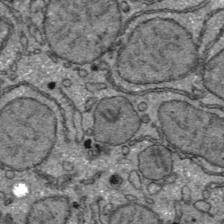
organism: C57BL Mouse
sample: Liver